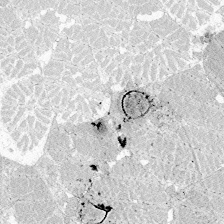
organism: Zebrafish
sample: Whole-Brain